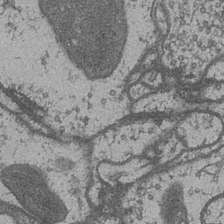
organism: Drosophila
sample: Optic medulla